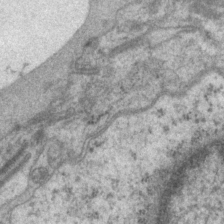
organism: P. pacificus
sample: Pharynx